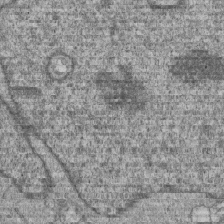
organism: Human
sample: MDA-MB-231 cells